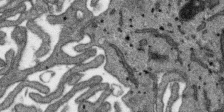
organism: Human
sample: Lung epithelial cells, uninfected (mock) control